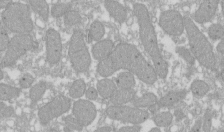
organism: Xenopus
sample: Cilia; centrioles in frog embryo cells